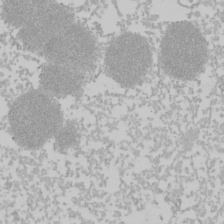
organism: Mouse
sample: Cancer cell death in ED-1 cells